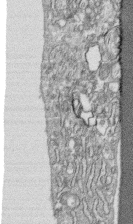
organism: Human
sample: CRL-1474